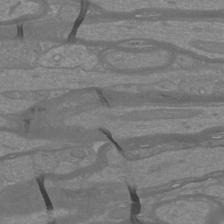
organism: Mouse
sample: Cortical neurons